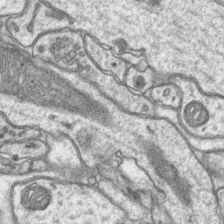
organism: Mouse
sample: CA1 Hippocampus